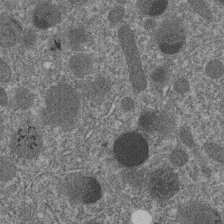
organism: C. elegans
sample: C. elegans embryo early stage